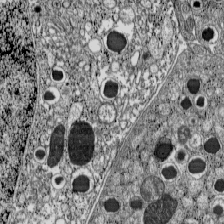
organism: C57BL Mouse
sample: Pancreatic islet